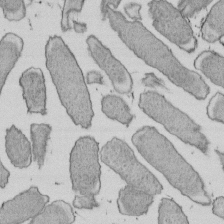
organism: E. coli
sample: Bacterial nucleoid